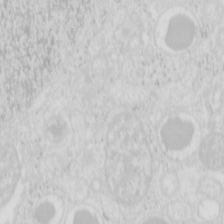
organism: Mouse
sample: Pancreas